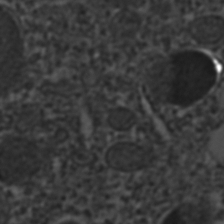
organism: C. elegans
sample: C. elegans embryo